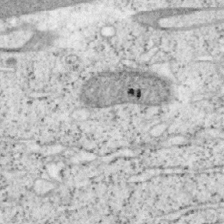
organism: Mouse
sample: OT-I killer T cells with ID8 ovarian cancer cells